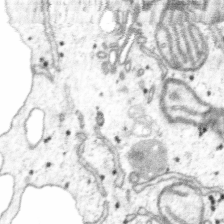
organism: Human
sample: HeLa cells